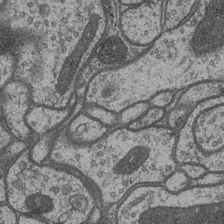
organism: Drosophila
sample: Optic medulla